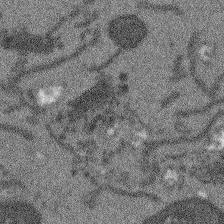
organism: Arabidopsis thaliana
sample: Root tip